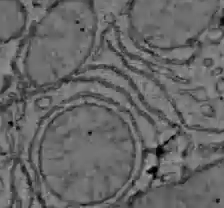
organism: C57BL Mouse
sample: Liver